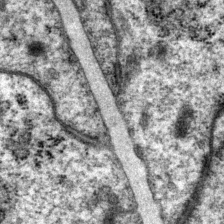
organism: P. pacificus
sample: Pharynx